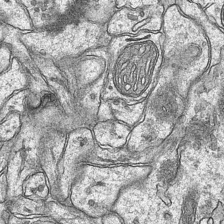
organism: Mouse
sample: CA1 Hippocampus